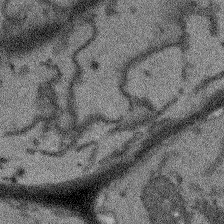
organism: Arabidopsis thaliana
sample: Root tip